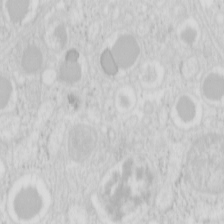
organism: Mouse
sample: Pancreas